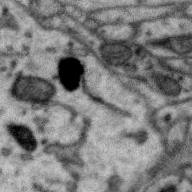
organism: Zebra finch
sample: Brain